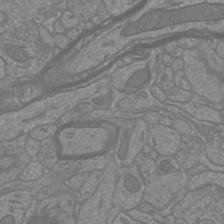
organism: Mouse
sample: Cortical neurons